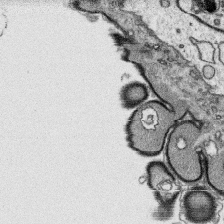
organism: Platynereis dumerilii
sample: Parapodia